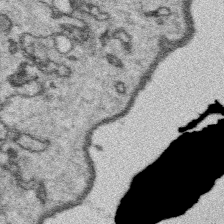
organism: Platynereis dumerilii